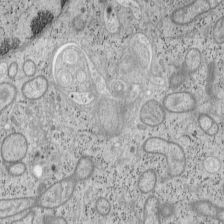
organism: Mouse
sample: OT-I killer T cells with ID8 ovarian cancer cells